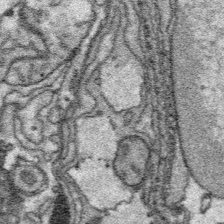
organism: Platynereis dumerilii